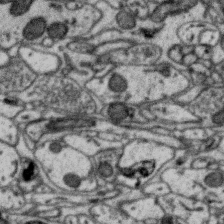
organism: Zebra finch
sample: Brain